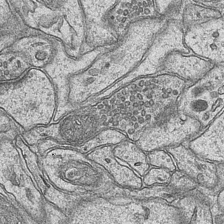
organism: Mouse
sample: CA1 Hippocampus